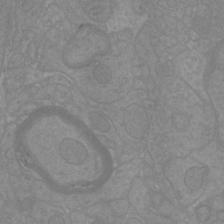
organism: Mouse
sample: Cortical neurons